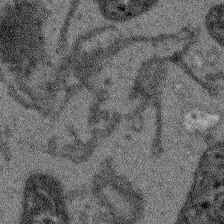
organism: Arabidopsis thaliana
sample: Root tip